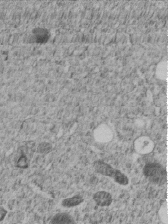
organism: C. elegans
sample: C. elegans embryo early stage